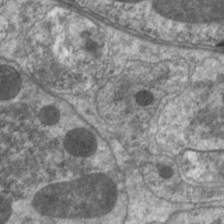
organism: C. elegans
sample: Pharynx